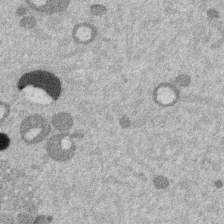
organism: Mouse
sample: Dividing mouse embryo 1 cell stage